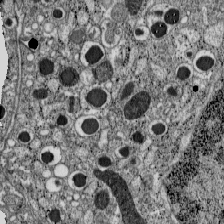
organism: C57BL Mouse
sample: Pancreatic islet